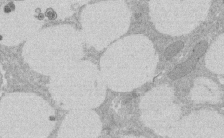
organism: Rat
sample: Salivary granule